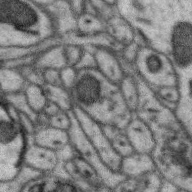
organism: Zebra finch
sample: Brain